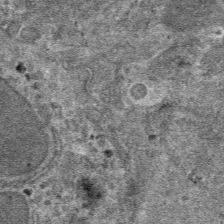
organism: Mouse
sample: Mouse hepatocytes